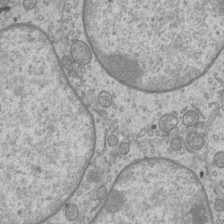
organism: Mouse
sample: Cilia; mouse epididymis